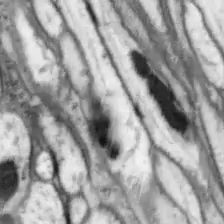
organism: Drosophila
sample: Optic lobe